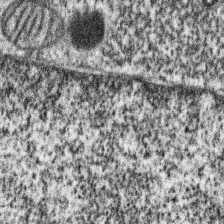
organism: Human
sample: HeLa cells